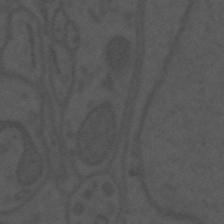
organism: Mouse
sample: Suprachiasmatic nucleus